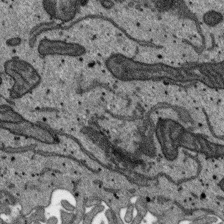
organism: Human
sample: Lung epithelial cells, uninfected (mock) control